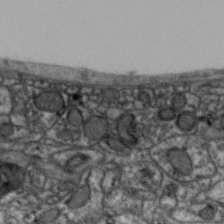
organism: Zebra finch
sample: Brain